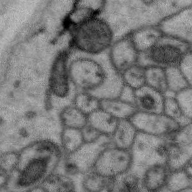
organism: Zebra finch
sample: Brain